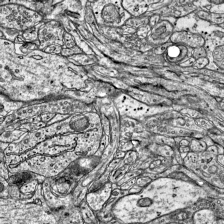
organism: Mouse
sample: Visual Cortex